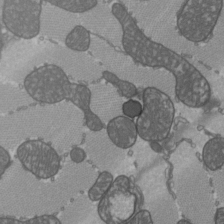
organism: C57BL Mouse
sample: Heart